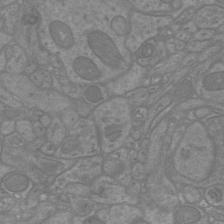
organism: Mouse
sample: Cortical neurons